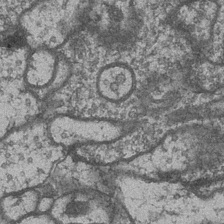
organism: Drosophila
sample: Optic medulla